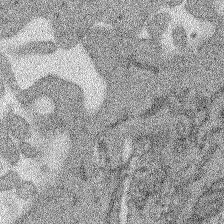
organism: Human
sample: HeLa cells